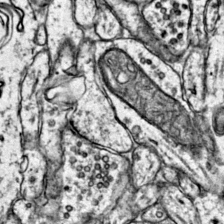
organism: Mouse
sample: Primary visual cortex